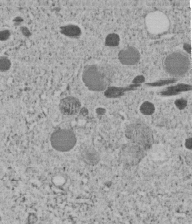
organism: C. elegans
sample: C. elegans embryo early stage